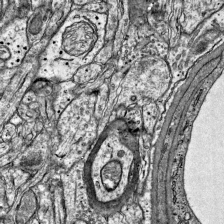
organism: Mouse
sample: Visual Cortex